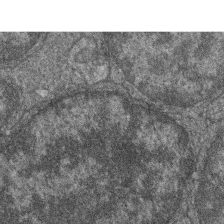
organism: Zebrafish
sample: Cilia; retinal pigment epithelium